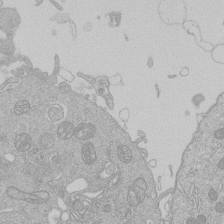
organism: Human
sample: Macrophage cells